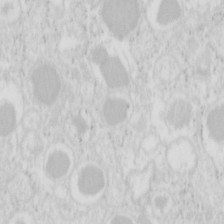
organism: Mouse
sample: Pancreas